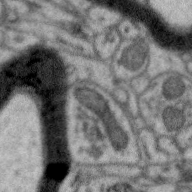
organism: Zebra finch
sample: Brain